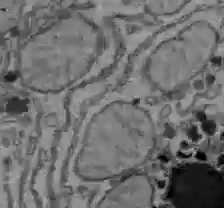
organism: C57BL Mouse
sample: Liver